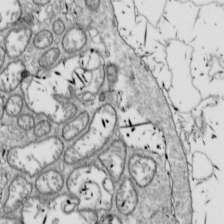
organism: Drosophila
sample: Cell division; meiosis; drosophila spermatocytes